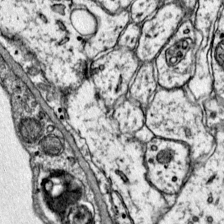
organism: Mouse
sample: Primary visual cortex